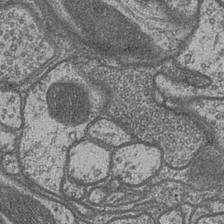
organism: Drosophila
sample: Optic medulla